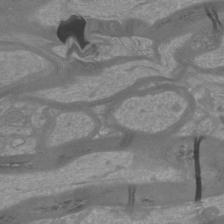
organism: Mouse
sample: Cortical neurons